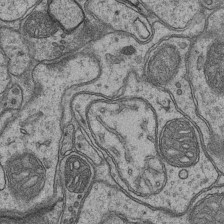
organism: Mouse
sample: CA1 Hippocampus